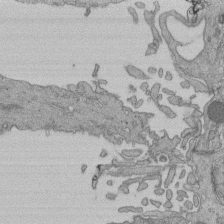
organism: Human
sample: Retinal organoid Rod and Cone cells